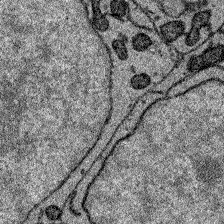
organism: Zebrafish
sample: Larval olfactory bulb